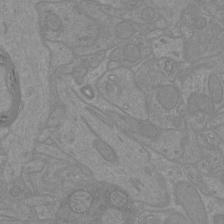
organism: Mouse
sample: Cortical neurons